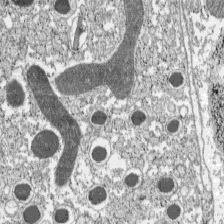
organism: C57BL Mouse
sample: Pancreatic islet